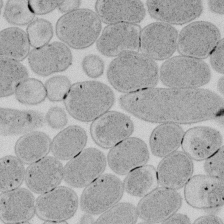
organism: E. coli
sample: Bacterial nucleoid